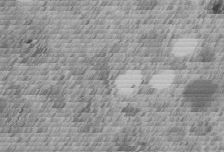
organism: C. elegans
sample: C. elegans embryo early stage